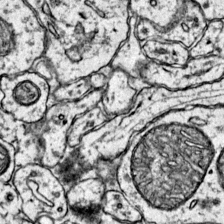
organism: Mouse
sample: Primary visual cortex